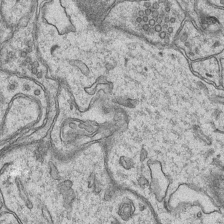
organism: Mouse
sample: CA1 Hippocampus